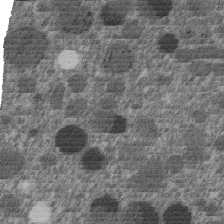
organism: C. elegans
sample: C. elegans embryo early stage